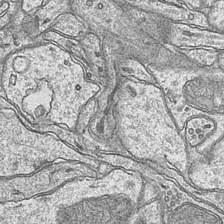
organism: Mouse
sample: CA1 Hippocampus